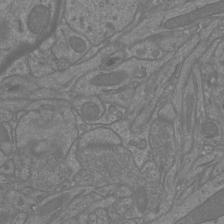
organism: Mouse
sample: Cortical neurons